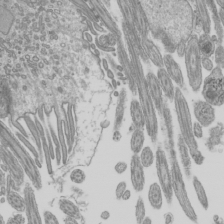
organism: Mouse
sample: Cilia; mouse epididymis